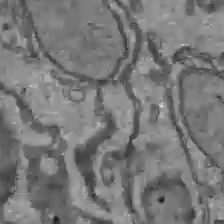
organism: C57BL Mouse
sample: Liver